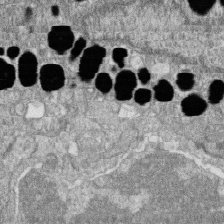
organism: Zebrafish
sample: Cilia; retinal pigment epithelium